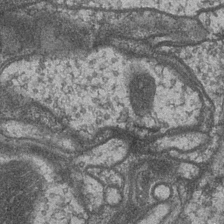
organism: Drosophila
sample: Optic medulla